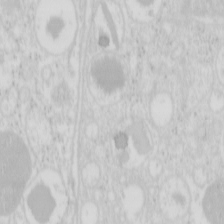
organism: Mouse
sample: Pancreas